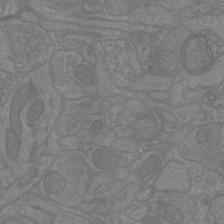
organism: Mouse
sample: Cortical neurons